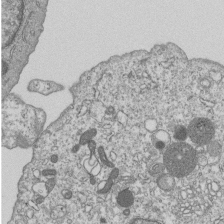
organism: Human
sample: MDA-MB-231 cells